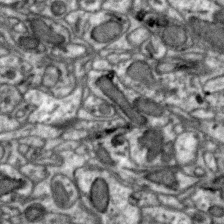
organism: Zebra finch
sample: Brain